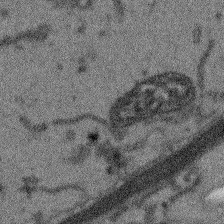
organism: Arabidopsis thaliana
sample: Root tip